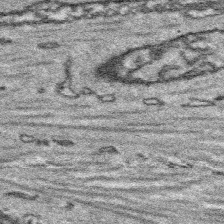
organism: Platynereis dumerilii